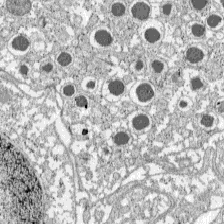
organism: C57BL Mouse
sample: Pancreatic islet